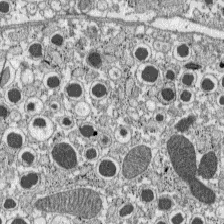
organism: C57BL Mouse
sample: Pancreatic islet